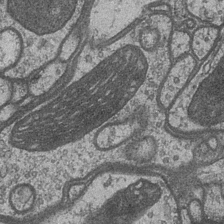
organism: Drosophila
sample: Optic medulla